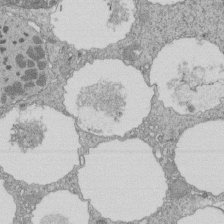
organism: Tetrahymena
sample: Cilia in tetrahymena